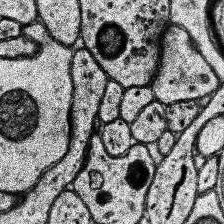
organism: Human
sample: Temporal Lobe